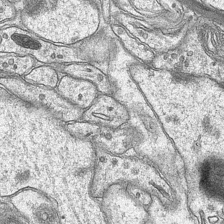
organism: Mouse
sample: CA1 Hippocampus